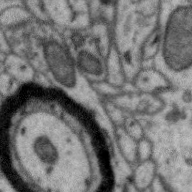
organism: Zebra finch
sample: Brain